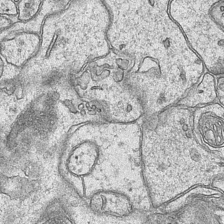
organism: Mouse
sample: CA1 Hippocampus